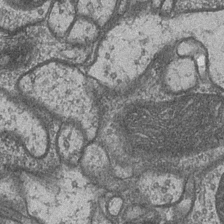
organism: Drosophila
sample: Optic medulla